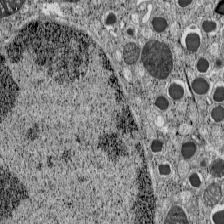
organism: C57BL Mouse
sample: Pancreatic islet